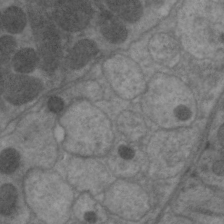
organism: C. elegans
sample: Pharynx